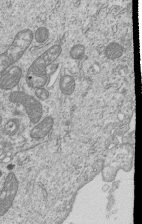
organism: Human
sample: MDA-MB-231 cells